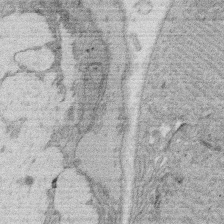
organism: Rat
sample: Salivary granule